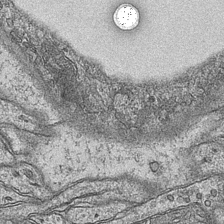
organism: Mouse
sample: CA1 Hippocampus